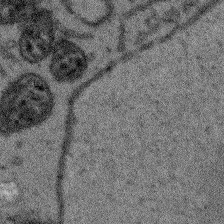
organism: Arabidopsis thaliana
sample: Root tip